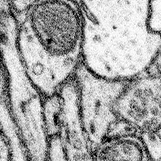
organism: Mouse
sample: Somatosensory cortex neuropil